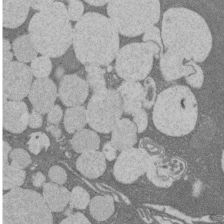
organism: Rat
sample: Salivary granule